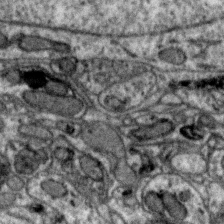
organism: Zebra finch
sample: Brain